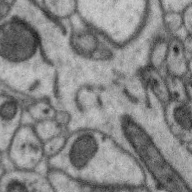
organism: Zebra finch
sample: Brain